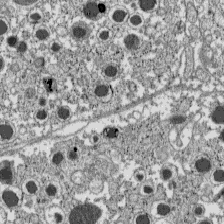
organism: C57BL Mouse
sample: Pancreatic islet